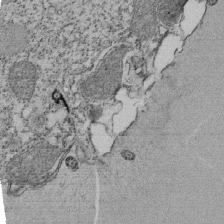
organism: Tetrahymena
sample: Cilia in tetrahymena